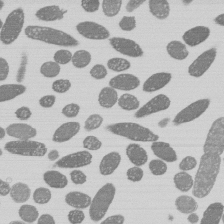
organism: E. coli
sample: Bacterial nucleoid